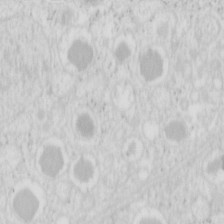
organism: Mouse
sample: Pancreas